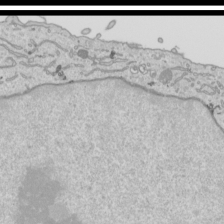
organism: Human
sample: Mitochondria in HCT116 cells